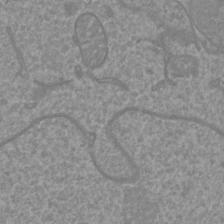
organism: Mouse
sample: Cortical neurons